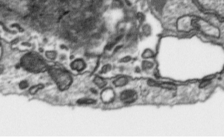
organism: Toxoplasma gondii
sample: Parasites in a vacuole inside a host cell